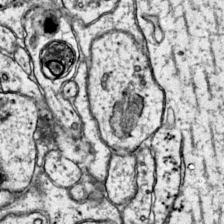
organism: Mouse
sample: Primary visual cortex